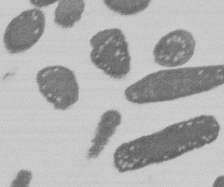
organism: E. coli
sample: Bacterial nucleoid